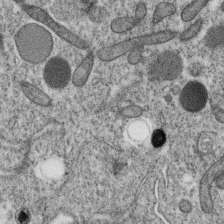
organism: C. elegans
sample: C. elegans oocyte; sperm cells